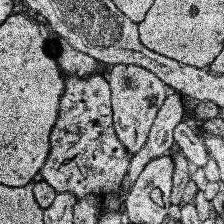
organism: Human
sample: Temporal Lobe